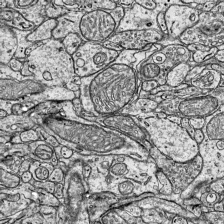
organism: Mouse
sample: Visual Cortex